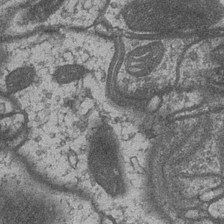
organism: Drosophila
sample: Optic medulla